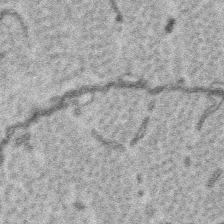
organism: Platynereis dumerilii